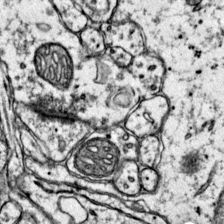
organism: Mouse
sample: Primary visual cortex